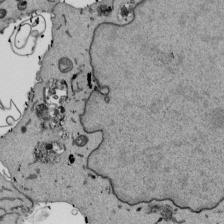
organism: Mouse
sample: ED-1 cell nuclei; centrioles